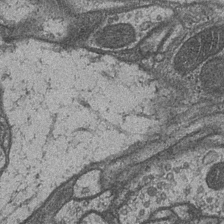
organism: Drosophila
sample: Optic medulla